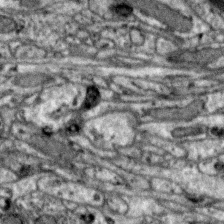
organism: Zebra finch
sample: Brain